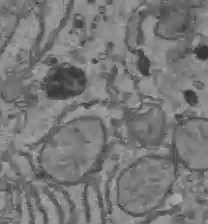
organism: C57BL Mouse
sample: Liver